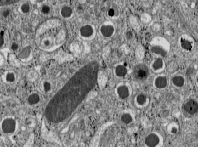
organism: C57BL Mouse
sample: Pancreatic islet